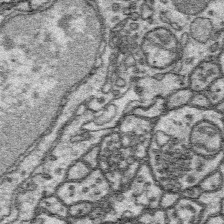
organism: Platynereis dumerilii